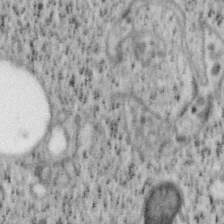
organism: Mouse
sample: OT-I killer T cells with ID8 ovarian cancer cells